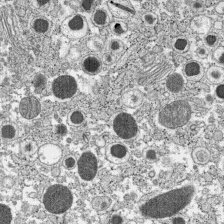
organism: C57BL Mouse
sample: Pancreatic islet